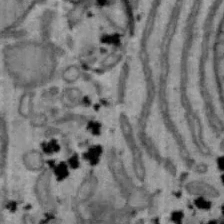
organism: Mouse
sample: Liver